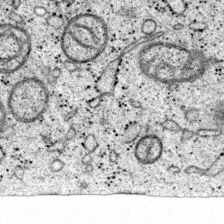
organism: Human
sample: HeLa cells